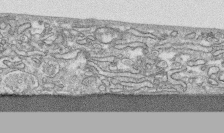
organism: Human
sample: CRL-1474